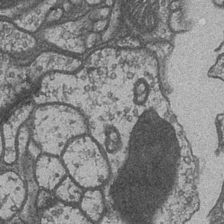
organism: Drosophila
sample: Optic medulla